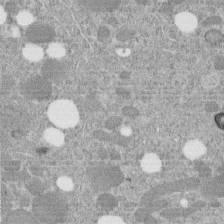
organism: C. elegans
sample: C. elegans embryo early stage